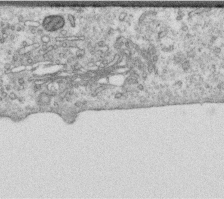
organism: Human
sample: Centriole in RPE cells